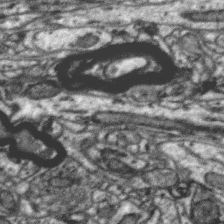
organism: Zebra finch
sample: Brain